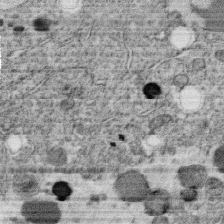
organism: C. elegans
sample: C. elegans oocyte; sperm cells